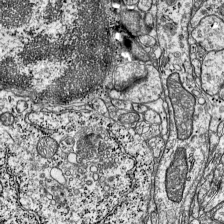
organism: Mouse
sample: Visual Cortex